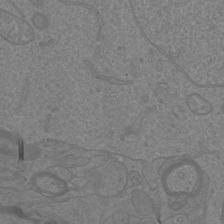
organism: Mouse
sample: Cortical neurons